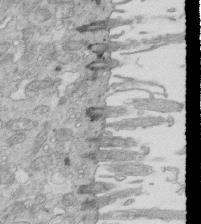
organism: Mouse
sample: Multiciliated cells